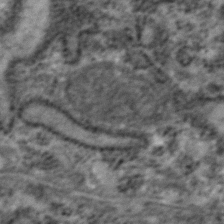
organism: Zebrafish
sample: Zebrafish embryo